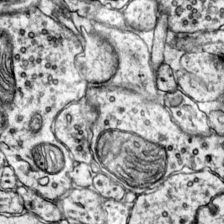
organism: Mouse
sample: Primary visual cortex